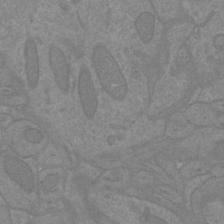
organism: Mouse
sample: Cortical neurons